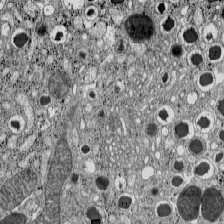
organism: C57BL Mouse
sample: Pancreatic islet